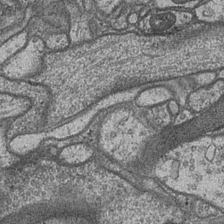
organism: Drosophila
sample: Optic medulla